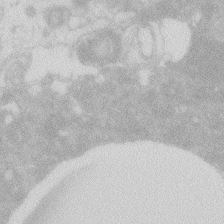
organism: Zebrafish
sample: Macrophage